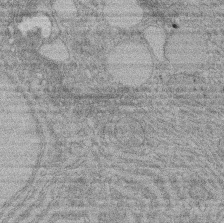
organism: Rat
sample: Salivary granule